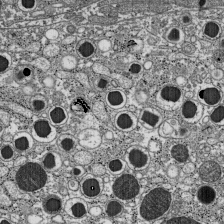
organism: C57BL Mouse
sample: Pancreatic islet